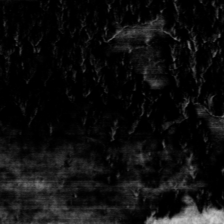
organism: Toxoplasma gondii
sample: Parasites in a vacuole inside a host cell